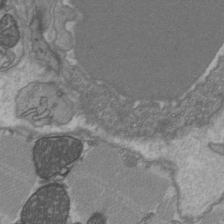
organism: C57BL Mouse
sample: Heart